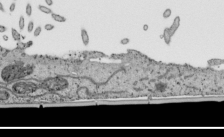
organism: Human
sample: Mitochondria in HCT116 cells